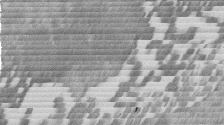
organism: Mouse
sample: Dividing mouse embryo 1 cell stage